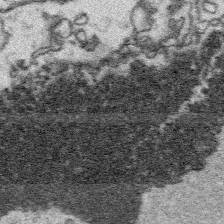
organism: Platynereis dumerilii